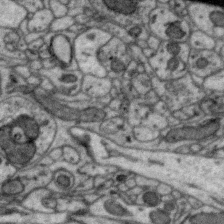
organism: Zebra finch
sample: Brain